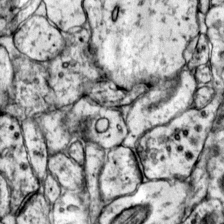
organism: Mouse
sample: Primary visual cortex